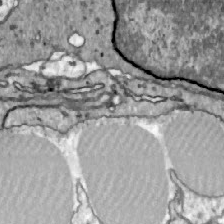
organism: Zebrafish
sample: Actinotrichia fibers